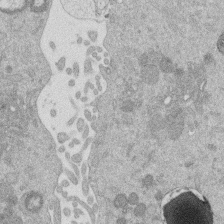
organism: Mouse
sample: Dividing mouse embryo 1 cell stage